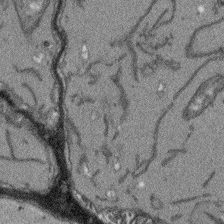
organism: Arabidopsis thaliana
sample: Root tip